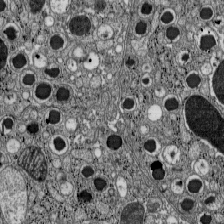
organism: C57BL Mouse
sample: Pancreatic islet